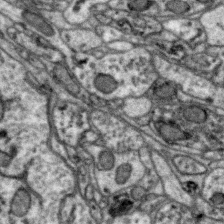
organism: Zebra finch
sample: Brain